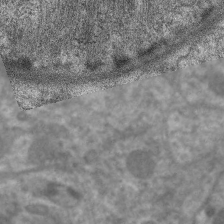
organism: C. elegans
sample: Pharynx